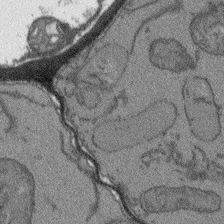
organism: Arabidopsis thaliana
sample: Root tip